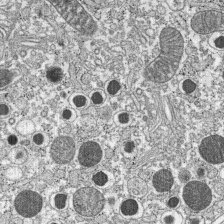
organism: C57BL Mouse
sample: Pancreatic islet